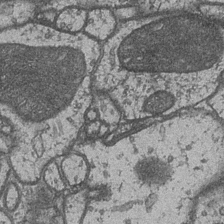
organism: Drosophila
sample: Optic medulla